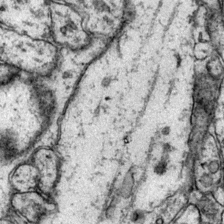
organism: Mouse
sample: Primary visual cortex